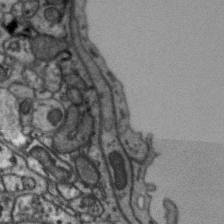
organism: Zebra finch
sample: Brain